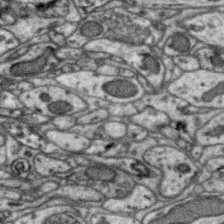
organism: Zebra finch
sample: Brain